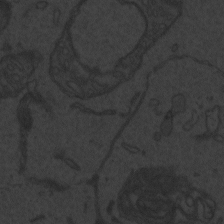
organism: Zebrafish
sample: Macrophage infected with Toxoplasma gondii